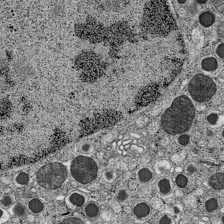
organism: C57BL Mouse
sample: Pancreatic islet